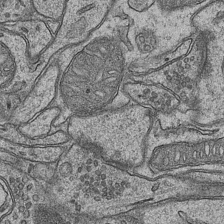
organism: Mouse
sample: CA1 Hippocampus